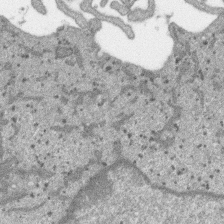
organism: Human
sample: Lung epithelial cells infected with SARS-CoV-2